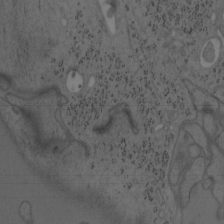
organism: Mouse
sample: OT-I killer T cells with ID8 ovarian cancer cells